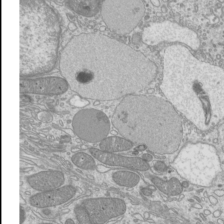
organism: Mouse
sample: Cilia; mouse epididymis